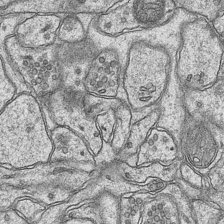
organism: Mouse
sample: CA1 Hippocampus